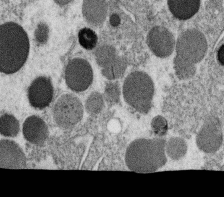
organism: C. elegans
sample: C. elegans oocyte; sperm cells